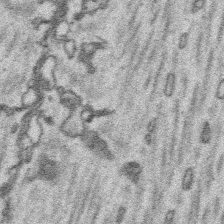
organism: Platynereis dumerilii